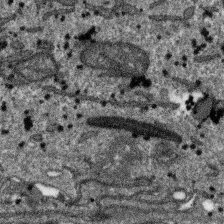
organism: Human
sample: Lung epithelial cells infected with SARS-CoV-2